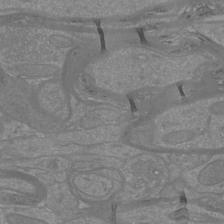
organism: Mouse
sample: Cortical neurons